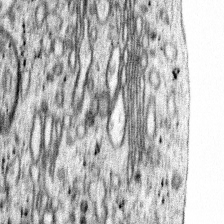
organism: Human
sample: HeLa cells